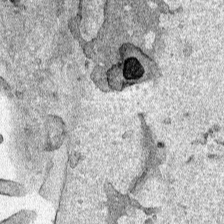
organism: Human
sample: Mitochondria in HCT116 cells